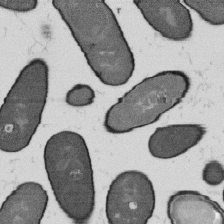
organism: B. subtilis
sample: Bacterial spore